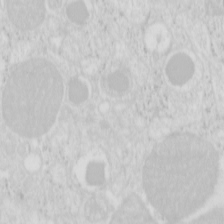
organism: Mouse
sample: Pancreas